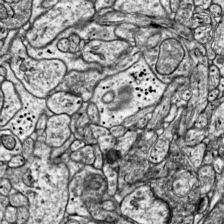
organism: Mouse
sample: Visual Cortex